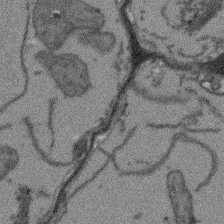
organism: Arabidopsis thaliana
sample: Root tip